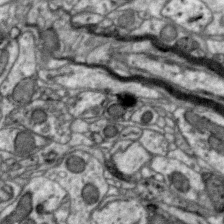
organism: Zebra finch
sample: Brain